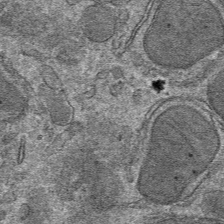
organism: Mouse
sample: Mouse hepatocytes